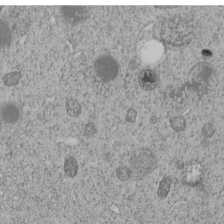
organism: C. elegans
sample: C. elegans embryo early stage